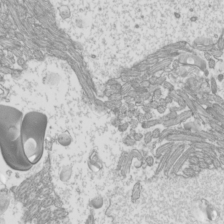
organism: Mouse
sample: Cilia; mouse epididymis